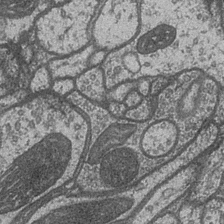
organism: Drosophila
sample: Optic medulla